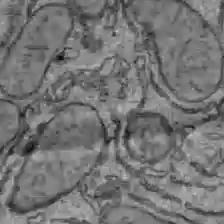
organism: C57BL Mouse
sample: Liver